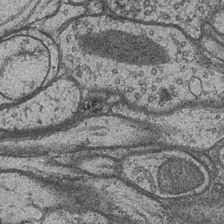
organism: Drosophila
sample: Optic medulla